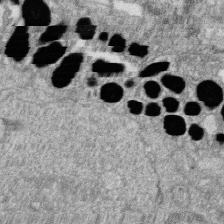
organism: Zebrafish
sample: Cilia; retinal pigment epithelium